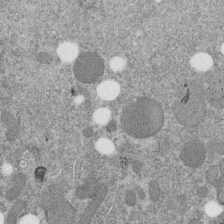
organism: C. elegans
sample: C. elegans embryo early stage